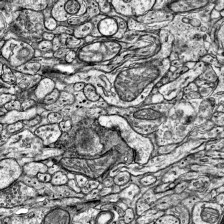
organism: Mouse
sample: Visual Cortex